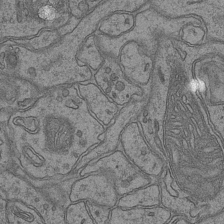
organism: Mouse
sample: CA1 Hippocampus